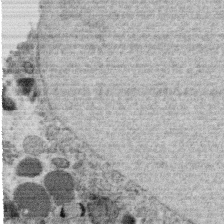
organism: C. elegans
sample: C. elegans oocyte; sperm cells